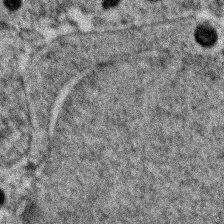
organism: Zebrafish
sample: Zebrafish embryo